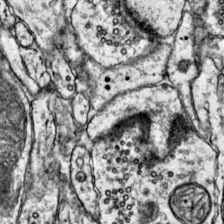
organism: Mouse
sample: Primary visual cortex